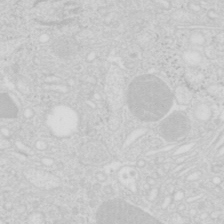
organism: Mouse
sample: Pancreas